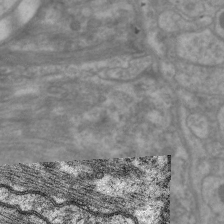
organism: C. elegans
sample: Pharynx